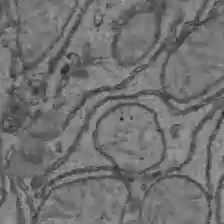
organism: C57BL Mouse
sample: Liver